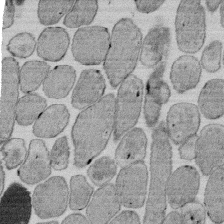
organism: E. coli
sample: Bacterial nucleoid